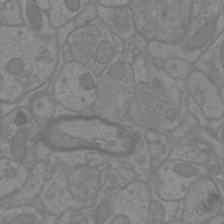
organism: Mouse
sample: Cortical neurons